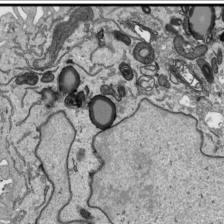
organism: Human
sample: Mitochondria in HCT116 cells